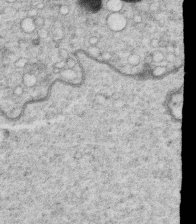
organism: C. elegans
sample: C. elegans oocyte; sperm cells